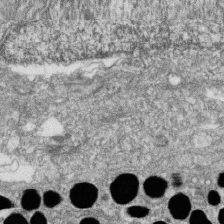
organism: Zebrafish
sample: Cilia; retinal pigment epithelium